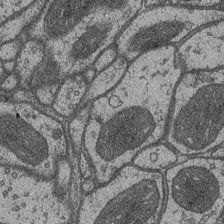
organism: Drosophila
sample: Optic medulla